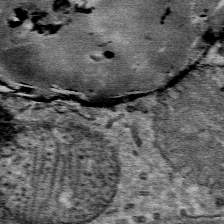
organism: Mouse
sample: Mouse Salivary gland